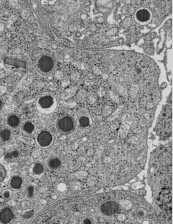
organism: C57BL Mouse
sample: Pancreatic islet